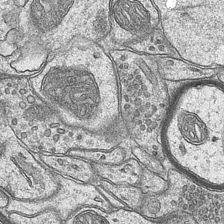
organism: Mouse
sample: CA1 Hippocampus